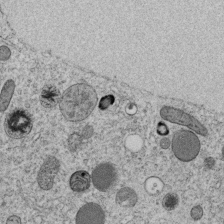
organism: C. elegans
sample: C. elegans embryo early stage